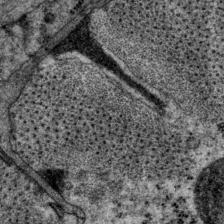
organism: P. pacificus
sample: Pharynx